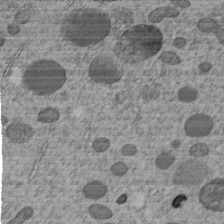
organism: C. elegans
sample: C. elegans embryo early stage